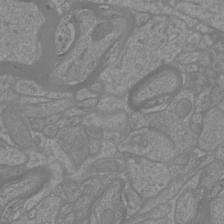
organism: Mouse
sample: Cortical neurons